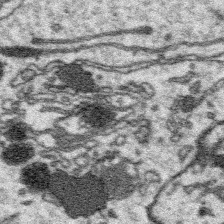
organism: Platynereis dumerilii